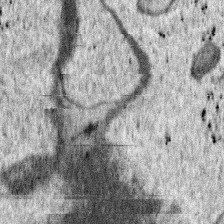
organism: Human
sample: HeLa cells